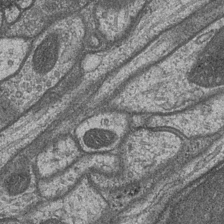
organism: Drosophila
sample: Optic medulla